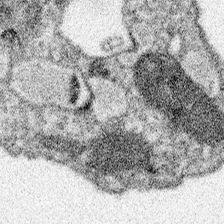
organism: Spongilla lacustris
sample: Neuroid cell